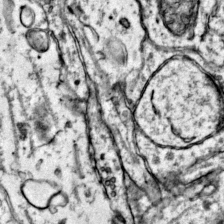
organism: Mouse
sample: Primary visual cortex